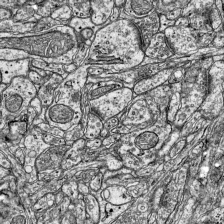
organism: Mouse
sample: Visual Cortex